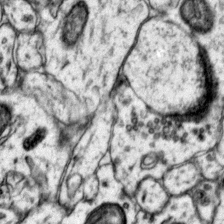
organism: Mouse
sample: Primary visual cortex